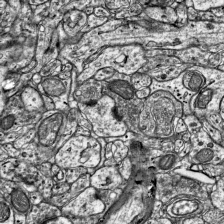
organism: Mouse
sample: Visual Cortex